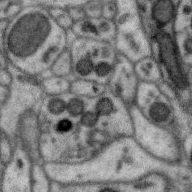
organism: Zebra finch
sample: Brain